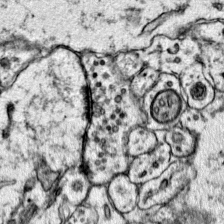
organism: Mouse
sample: Primary visual cortex